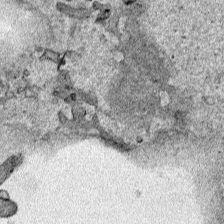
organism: Human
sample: Mitochondria in HCT116 cells